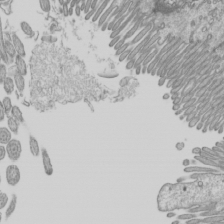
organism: Mouse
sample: Cilia; mouse epididymis